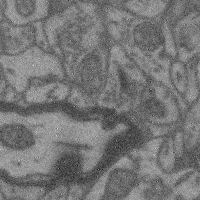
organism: Mouse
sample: Cerebral cortex